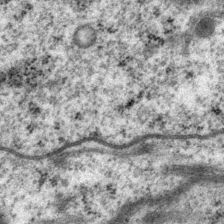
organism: P. pacificus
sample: Pharynx